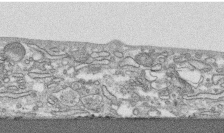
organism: Human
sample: CRL-1474